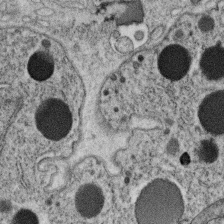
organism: C. elegans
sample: C. elegans oocyte; sperm cells